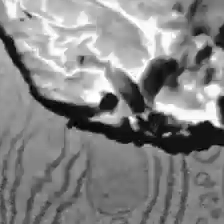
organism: C57BL Mouse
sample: Liver